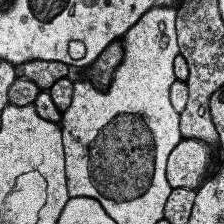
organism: Human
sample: Temporal Lobe